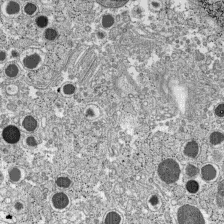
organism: C57BL Mouse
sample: Pancreatic islet